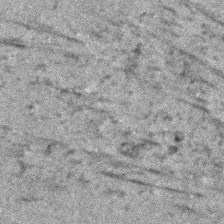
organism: Human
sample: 1205lu cells